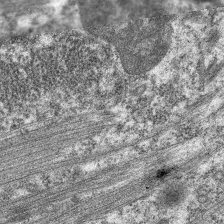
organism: C. elegans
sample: Pharynx